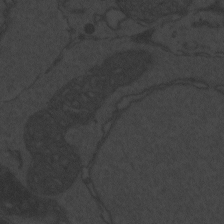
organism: Zebrafish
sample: Macrophage infected with Toxoplasma gondii